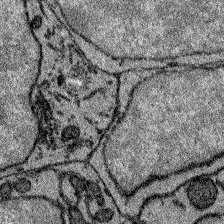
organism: Zebrafish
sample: Larval olfactory bulb